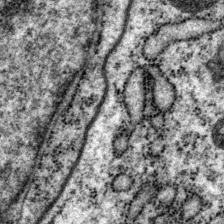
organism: P. pacificus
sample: Pharynx